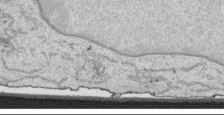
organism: Human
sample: Mitochondria in HCT116 cells